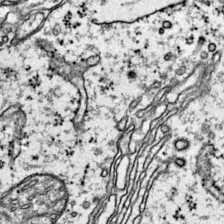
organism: Mouse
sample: Primary visual cortex